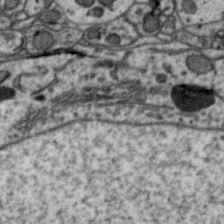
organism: Zebra finch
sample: Brain